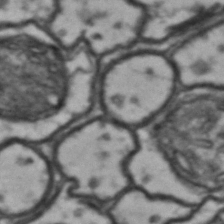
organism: Drosophila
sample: Brain